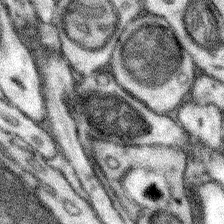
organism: Mouse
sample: Somatosensory cortex neuropil